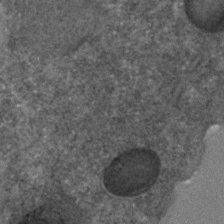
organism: C. elegans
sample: C. elegans embryo